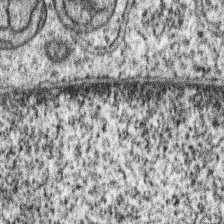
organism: Human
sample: HeLa cells